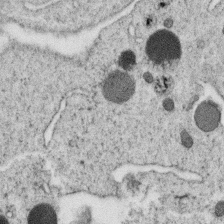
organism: C. elegans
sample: C. elegans oocyte; sperm cells